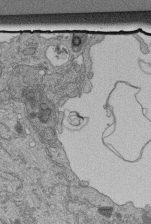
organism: Human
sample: Retinal organoid Rod and Cone cells